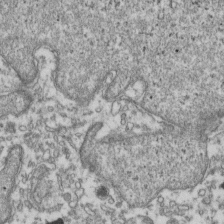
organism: Human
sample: Activated Jurkat CD4+ T cells